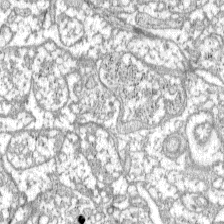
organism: C57BL Mouse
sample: Pancreatic islet